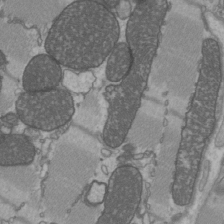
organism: C57BL Mouse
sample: Heart